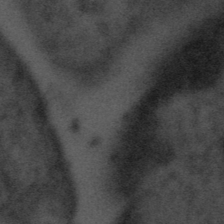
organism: Tuwongella immobilis